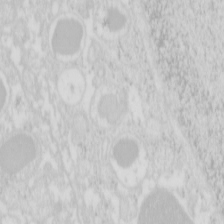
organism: Mouse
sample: Pancreas